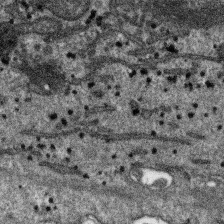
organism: Human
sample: Lung epithelial cells infected with SARS-CoV-2